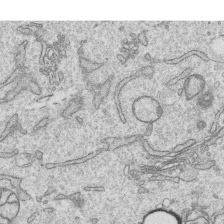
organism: Human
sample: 1205lu cells